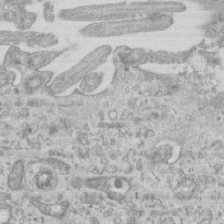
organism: Mouse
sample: Centriole in ependymal cells